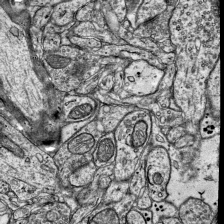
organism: Mouse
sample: Visual Cortex